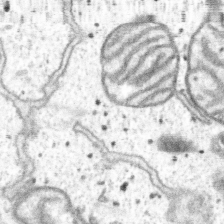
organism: Human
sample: HeLa cells